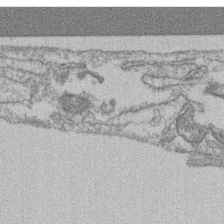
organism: Mouse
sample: T cell stromal cell synapse